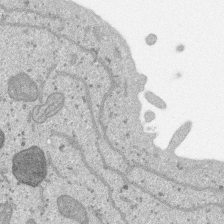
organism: Human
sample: Lung epithelial cells infected with SARS-CoV-2